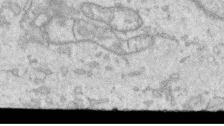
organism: Human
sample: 1205lu cells